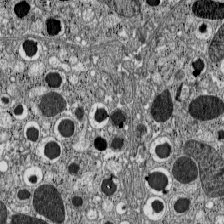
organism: C57BL Mouse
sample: Pancreatic islet